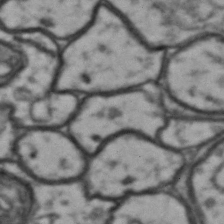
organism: Drosophila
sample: Brain